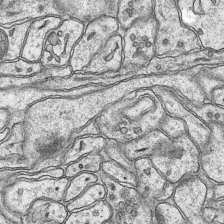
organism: Mouse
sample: CA1 Hippocampus